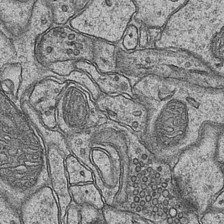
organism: Mouse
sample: CA1 Hippocampus